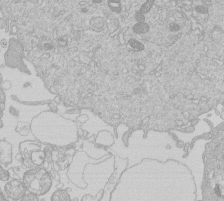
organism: Human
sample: Macrophage cells